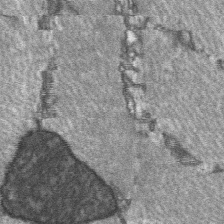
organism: C57BL Mouse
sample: Soleus